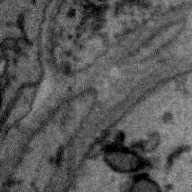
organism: Zebra finch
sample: Brain